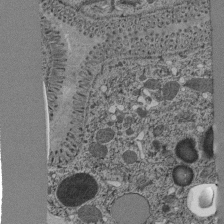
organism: C. elegans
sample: C. elegans pharynx